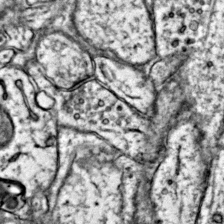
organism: Mouse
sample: Primary visual cortex